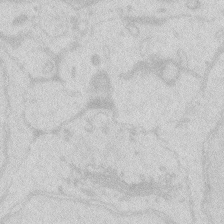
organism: Zebrafish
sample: Macrophage